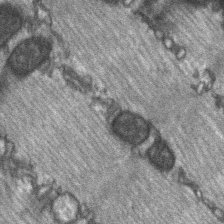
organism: C57BL Mouse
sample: Soleus